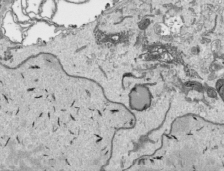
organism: Human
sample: Mitochondria in HCT116 cells